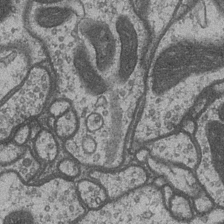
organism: Drosophila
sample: Optic medulla